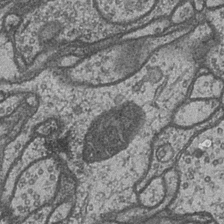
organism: Drosophila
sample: Optic medulla